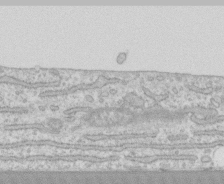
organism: Human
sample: CRL-1474